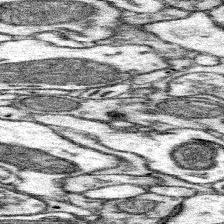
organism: Mouse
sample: Somatosensory cortex neuropil